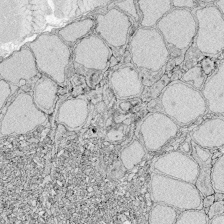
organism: Zebrafish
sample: Whole-Brain